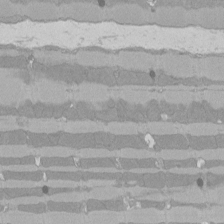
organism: Rat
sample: Left ventricle